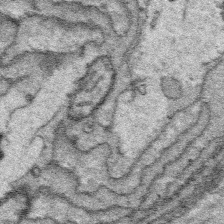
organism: Platynereis dumerilii